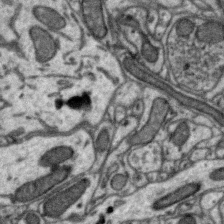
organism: Zebra finch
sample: Brain